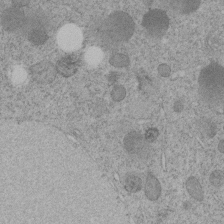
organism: C. elegans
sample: C. elegans embryo early stage